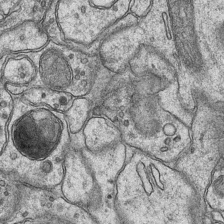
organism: Mouse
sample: CA1 Hippocampus